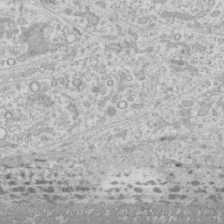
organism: Human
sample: CRL-1474